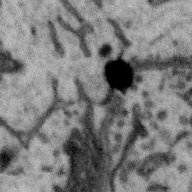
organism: Zebra finch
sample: Brain